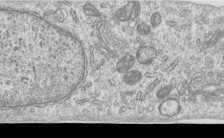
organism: Human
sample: Centriole in RPE cells